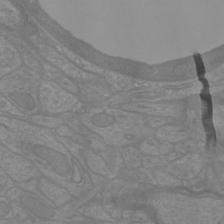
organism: Mouse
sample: Cortical neurons